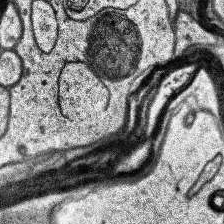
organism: Human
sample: Temporal Lobe